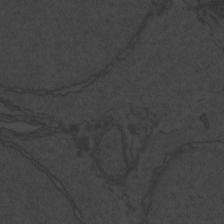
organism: Zebrafish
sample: Macrophage infected with Toxoplasma gondii